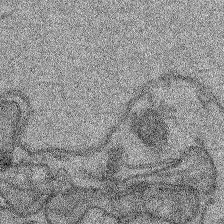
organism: Human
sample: HeLa cells